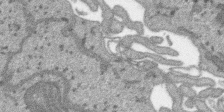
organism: Human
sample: Lung epithelial cells infected with SARS-CoV-2